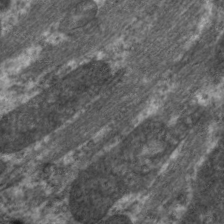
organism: C. elegans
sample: Pharynx